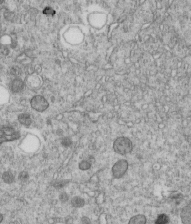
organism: C. elegans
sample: C. elegans embryo early stage